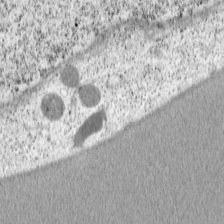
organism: African green monkey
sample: COS-7 cells